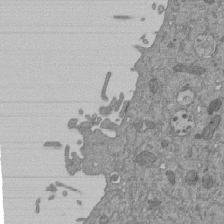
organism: Mouse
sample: ED-1 cell nuclei; centrioles